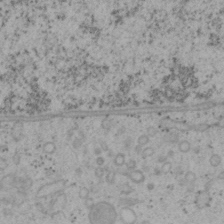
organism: Human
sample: HeLa cells